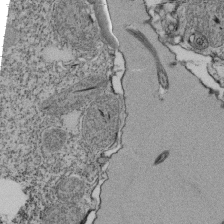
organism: Tetrahymena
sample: Cilia in tetrahymena